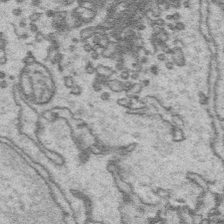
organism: Platynereis dumerilii